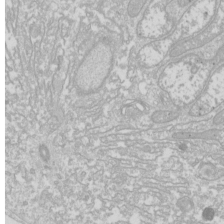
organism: Drosophila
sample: Cell division; meiosis; drosophila spermatocytes